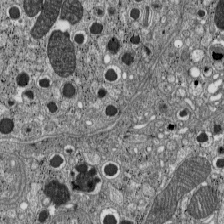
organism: C57BL Mouse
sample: Pancreatic islet